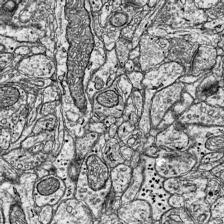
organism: Mouse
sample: Visual Cortex